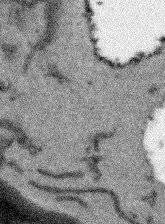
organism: Arabidopsis thaliana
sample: Root tip